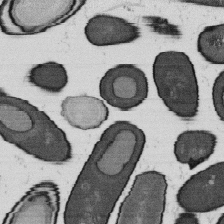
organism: B. subtilis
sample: Bacterial spore